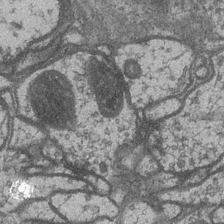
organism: Drosophila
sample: Optic medulla